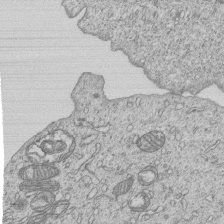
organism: Human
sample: MDA-MB-231 cells